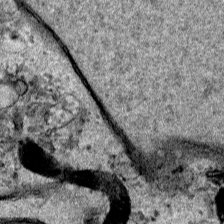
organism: Human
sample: Mitochondria in HCT116 cells